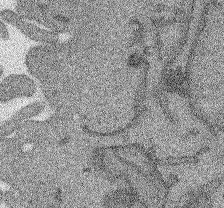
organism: Human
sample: HeLa cells